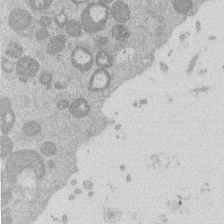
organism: Mouse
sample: Dividing mouse embryo 1 cell stage